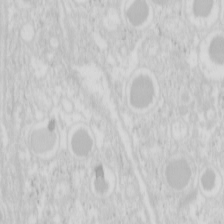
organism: Mouse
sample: Pancreas